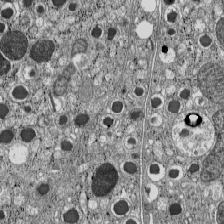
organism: C57BL Mouse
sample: Pancreatic islet